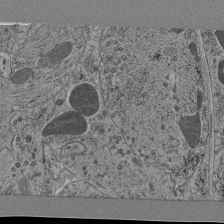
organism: C. elegans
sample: C. elegans pharynx